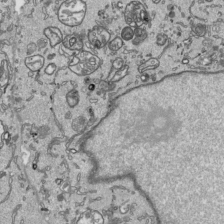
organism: Human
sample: Mitochondria in HCT116 cells